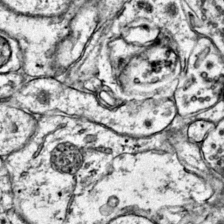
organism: Mouse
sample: Primary visual cortex